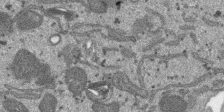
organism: Human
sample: Lung epithelial cells infected with SARS-CoV-2